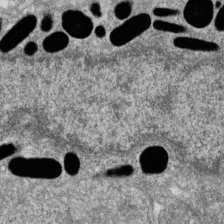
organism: Zebrafish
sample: Cilia; retinal pigment epithelium